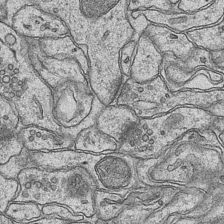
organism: Mouse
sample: CA1 Hippocampus